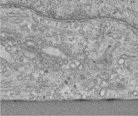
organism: Human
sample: Centriole in RPE cells